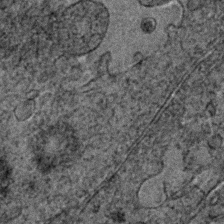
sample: Trachea